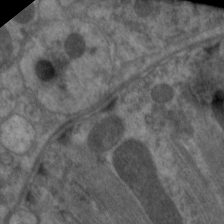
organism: C. elegans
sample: Pharynx